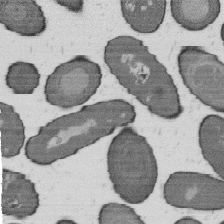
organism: B. subtilis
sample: Bacterial spore